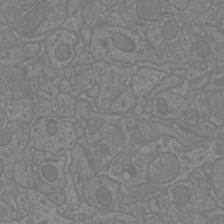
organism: Mouse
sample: Cortical neurons